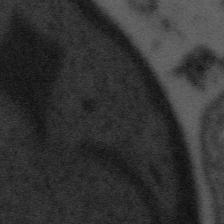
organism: Tuwongella immobilis